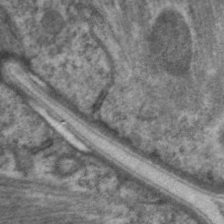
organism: C. elegans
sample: Pharynx